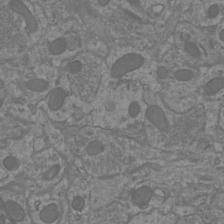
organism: Mouse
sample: Cortical neurons